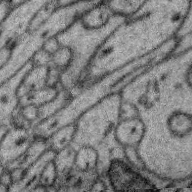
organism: Zebra finch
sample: Brain